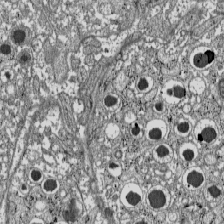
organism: C57BL Mouse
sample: Pancreatic islet